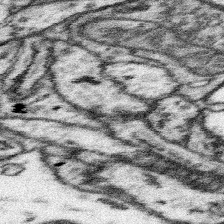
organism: Mouse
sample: Somatosensory cortex neuropil